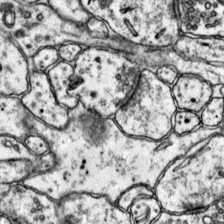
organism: Mouse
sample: Primary visual cortex